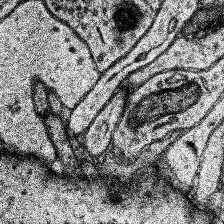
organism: Human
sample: Temporal Lobe